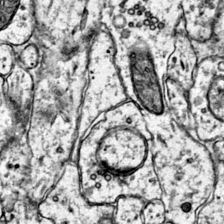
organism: Mouse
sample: Primary visual cortex